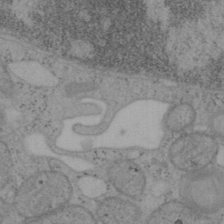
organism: Mouse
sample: OT-I killer T cells with ID8 ovarian cancer cells